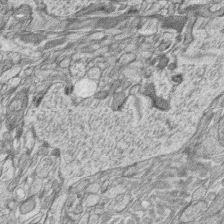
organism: Zebrafish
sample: synaptic ribbons in rod cells and cone cells